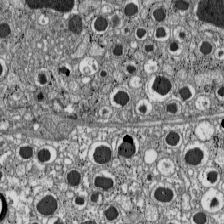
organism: C57BL Mouse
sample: Pancreatic islet